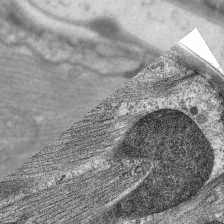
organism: C. elegans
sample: Pharynx